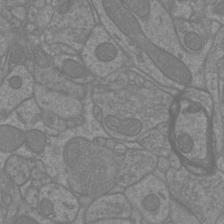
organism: Mouse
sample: Cortical neurons